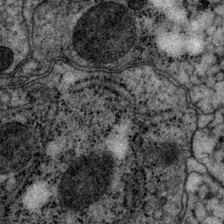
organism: P. pacificus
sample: Pharynx